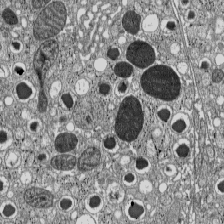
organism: C57BL Mouse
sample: Pancreatic islet